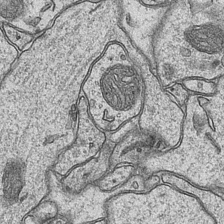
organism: Mouse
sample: CA1 Hippocampus